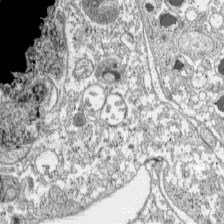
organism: C57BL Mouse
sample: Pancreatic islet